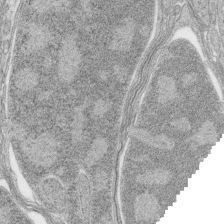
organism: Zebrafish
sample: synaptic ribbons in rod cells and cone cells